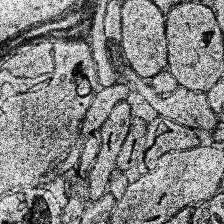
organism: Human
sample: Temporal Lobe